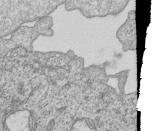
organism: Human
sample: MDA-MB-231 cells